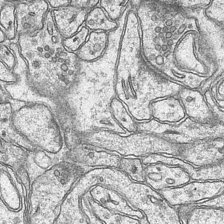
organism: Mouse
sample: CA1 Hippocampus